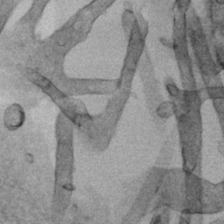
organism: Human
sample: Mitochondria in HCT116 cells